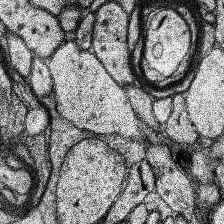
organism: Human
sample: Temporal Lobe